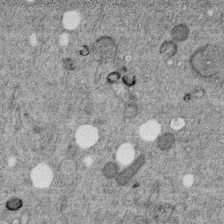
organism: C. elegans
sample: C. elegans embryo early stage